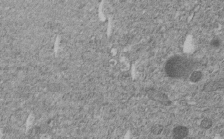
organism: C. elegans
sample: C. elegans embryo early stage